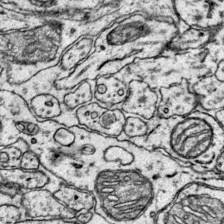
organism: Mouse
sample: Primary visual cortex